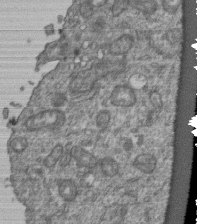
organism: Human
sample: Retinal organoid Rod and Cone cells